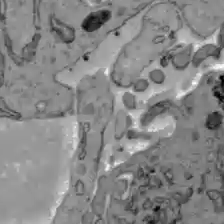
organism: C57BL Mouse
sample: Liver